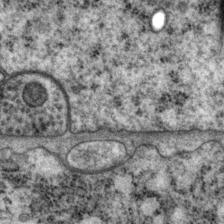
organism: P. pacificus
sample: Pharynx